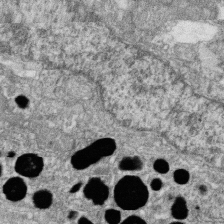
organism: Zebrafish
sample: Cilia; retinal pigment epithelium